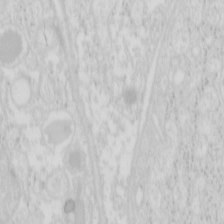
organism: Mouse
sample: Pancreas